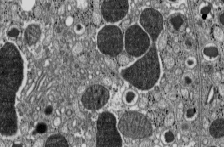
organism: C57BL Mouse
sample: Pancreatic islet